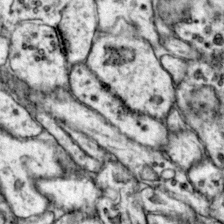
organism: Mouse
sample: Primary visual cortex